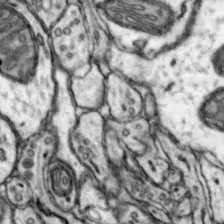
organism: Mouse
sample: Nucleus accumbens